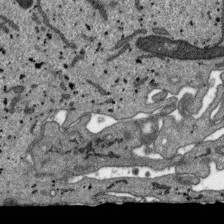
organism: Human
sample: Lung epithelial cells, uninfected (mock) control